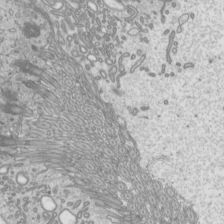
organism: Mouse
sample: Cilia; mouse epididymis